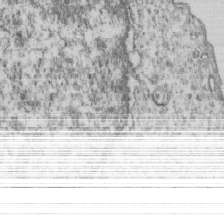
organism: Human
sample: MDA-MB-231 cells